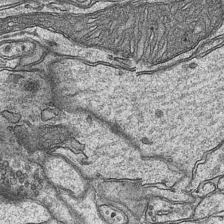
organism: Mouse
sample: CA1 Hippocampus